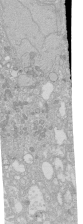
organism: Human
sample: Caco-2 cells